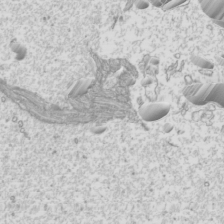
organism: Mouse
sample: Cilia; mouse epididymis